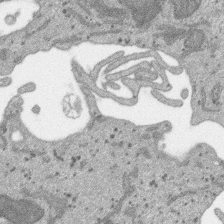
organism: Human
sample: Lung epithelial cells infected with SARS-CoV-2